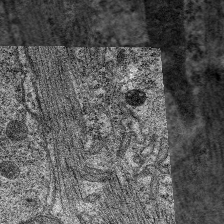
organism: C. elegans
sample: Pharynx